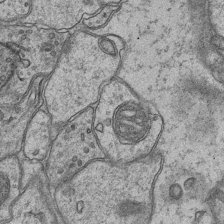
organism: Mouse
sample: CA1 Hippocampus